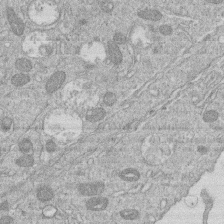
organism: Human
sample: Macrophage cells